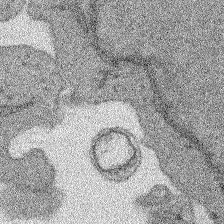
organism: Human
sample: HeLa cells